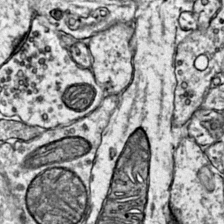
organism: Mouse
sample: Primary visual cortex